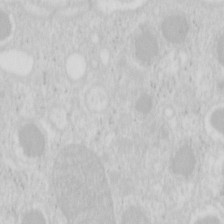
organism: Mouse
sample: Pancreas